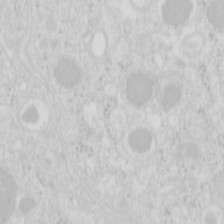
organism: Mouse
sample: Pancreas